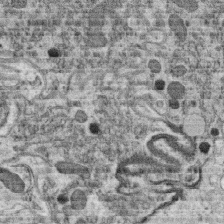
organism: C. elegans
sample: C. elegans oocyte; sperm cells